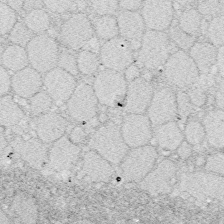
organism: Zebrafish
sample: Whole-Brain